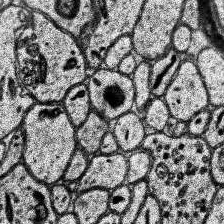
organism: Human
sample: Temporal Lobe